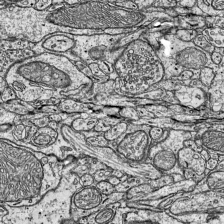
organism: Mouse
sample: Visual Cortex